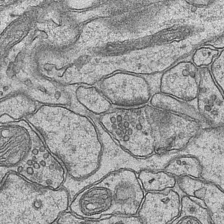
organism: Mouse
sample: CA1 Hippocampus